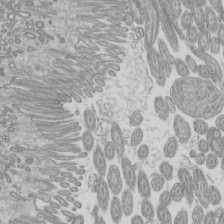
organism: Mouse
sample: Cilia; mouse epididymis